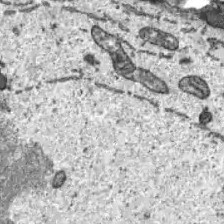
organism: Human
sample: HeLa cells